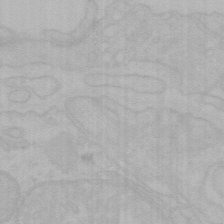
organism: Mouse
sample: Choroid plexus